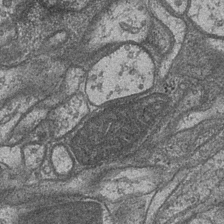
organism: Drosophila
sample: Optic medulla